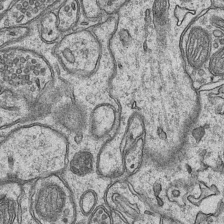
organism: Mouse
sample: CA1 Hippocampus